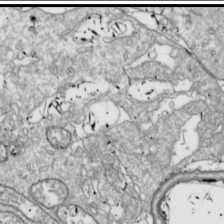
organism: Drosophila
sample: Cell division; meiosis; drosophila spermatocytes